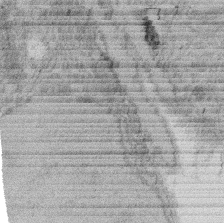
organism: Rat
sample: Salivary granule